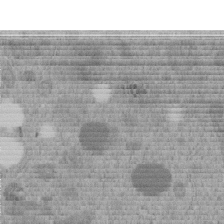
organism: C. elegans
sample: C. elegans embryo early stage